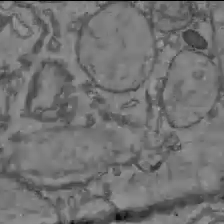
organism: C57BL Mouse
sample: Liver